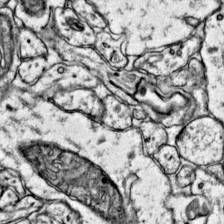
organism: Mouse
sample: Primary visual cortex